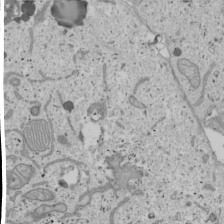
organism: Human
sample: Mitochondria in U2OS cells